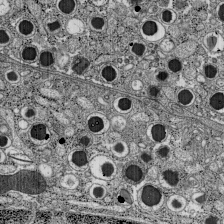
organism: C57BL Mouse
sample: Pancreatic islet